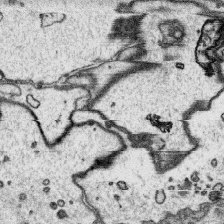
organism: Platynereis dumerilii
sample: Parapodia